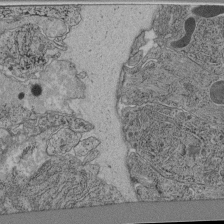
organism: C. elegans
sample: C. elegans pharynx